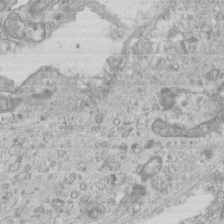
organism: Mouse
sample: Centriole in ependymal cells